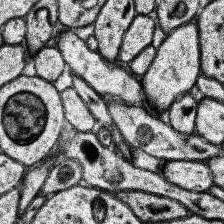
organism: Human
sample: Temporal Lobe